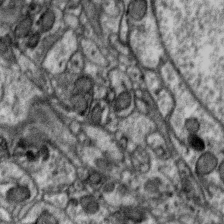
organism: Zebra finch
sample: Brain